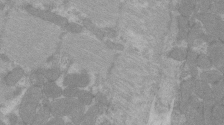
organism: C57BL Mouse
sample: Tibialis anterior muscle cell